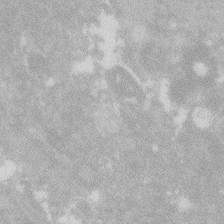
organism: Zebrafish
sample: Macrophage